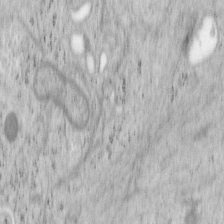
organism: Human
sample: HeLa cells